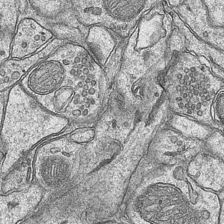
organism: Mouse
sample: CA1 Hippocampus